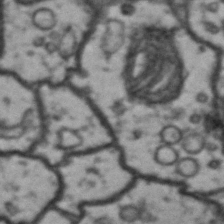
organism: Drosophila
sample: Brain